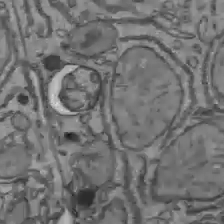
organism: C57BL Mouse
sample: Liver